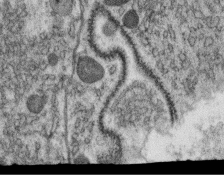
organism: C. elegans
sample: C. elegans oocyte; sperm cells